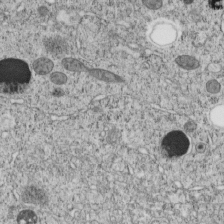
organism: C. elegans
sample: C. elegans embryo early stage